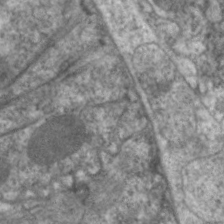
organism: C. elegans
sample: Pharynx